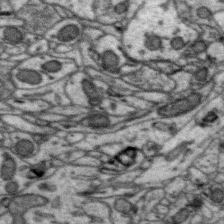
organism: Zebra finch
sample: Brain